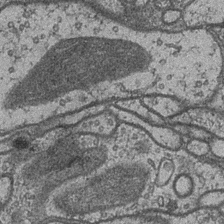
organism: Drosophila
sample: Optic medulla